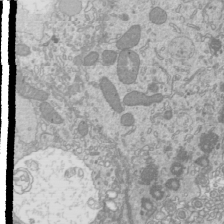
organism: Mouse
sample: Cilia; mouse epididymis